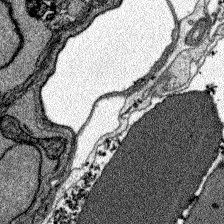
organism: Zebrafish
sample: Larval olfactory bulb